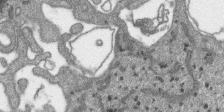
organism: Human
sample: Lung epithelial cells infected with SARS-CoV-2